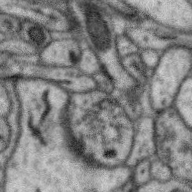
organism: Zebra finch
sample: Brain